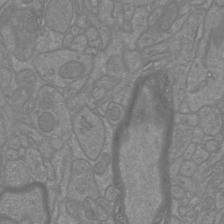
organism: Mouse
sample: Cortical neurons